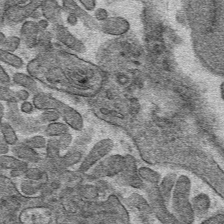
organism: Mouse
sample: Mouse hepatocytes